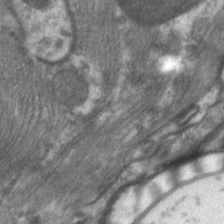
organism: C. elegans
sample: Pharynx